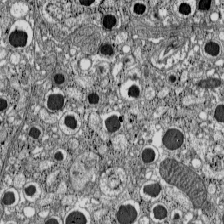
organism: C57BL Mouse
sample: Pancreatic islet